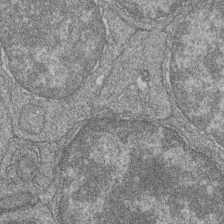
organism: Zebrafish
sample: Cilia; retinal pigment epithelium